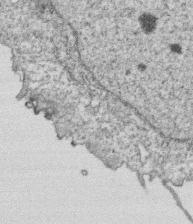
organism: Human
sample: HeLa cell HIV synapse